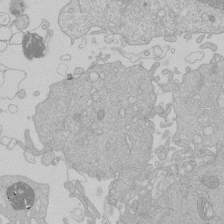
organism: Human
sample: Macrophage cells